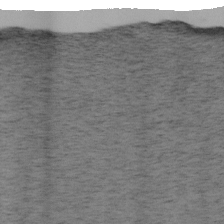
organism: Mouse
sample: OT-I killer T cells with ID8 ovarian cancer cells